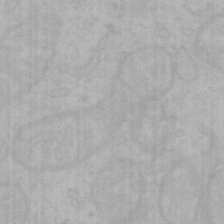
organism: Mouse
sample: Choroid plexus